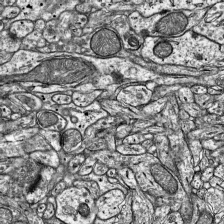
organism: Mouse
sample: Visual Cortex